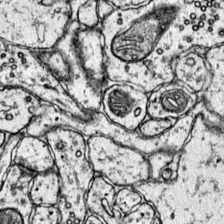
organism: Mouse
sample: Primary visual cortex